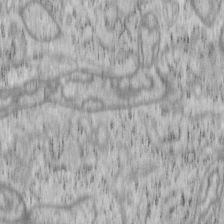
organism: Human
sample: HeLa cells